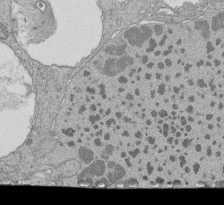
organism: Tetrahymena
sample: Cilia in tetrahymena